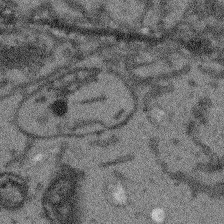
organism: Arabidopsis thaliana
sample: Root tip